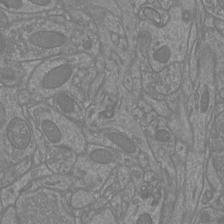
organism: Mouse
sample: Cortical neurons